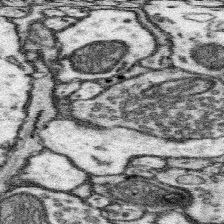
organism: Mouse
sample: Somatosensory cortex neuropil